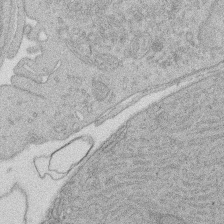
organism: Rat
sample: Salivary granule